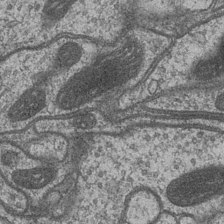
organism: Drosophila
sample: Optic medulla